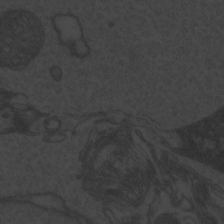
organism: Zebrafish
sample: Macrophage infected with Toxoplasma gondii